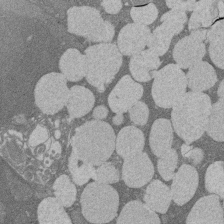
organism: Rat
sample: Salivary granule